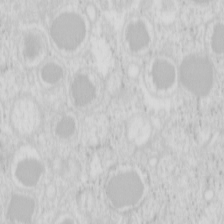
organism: Mouse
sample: Pancreas